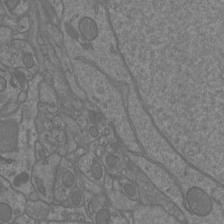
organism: Mouse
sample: Cortical neurons